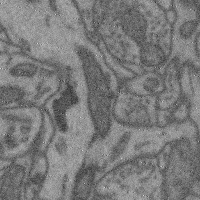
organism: Mouse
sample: Cerebral cortex